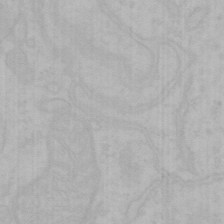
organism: Mouse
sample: Choroid plexus